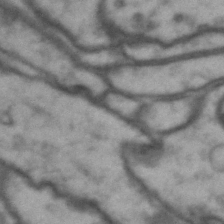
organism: Drosophila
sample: Brain